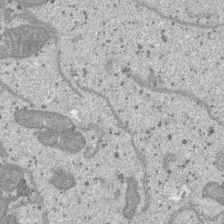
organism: Human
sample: Lung epithelial cells infected with SARS-CoV-2